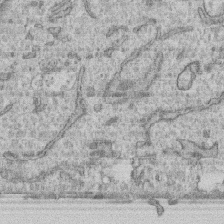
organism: Human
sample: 1205lu cells